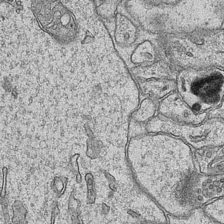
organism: Mouse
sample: CA1 Hippocampus